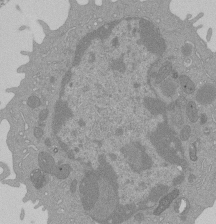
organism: Mouse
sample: Activated Pmel transgenic CD8+ T Cells